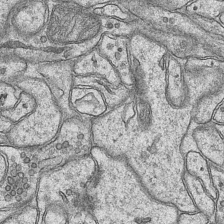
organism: Mouse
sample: CA1 Hippocampus